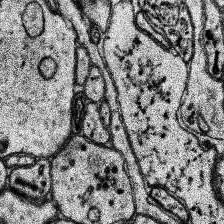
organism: Human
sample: Temporal Lobe